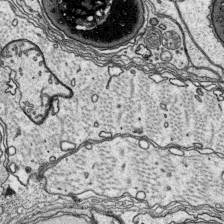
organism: Platynereis dumerilii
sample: Parapodia